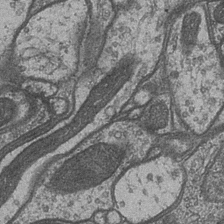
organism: Drosophila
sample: Optic medulla